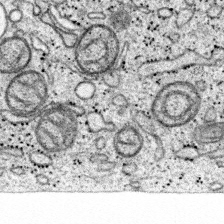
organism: Human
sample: HeLa cells